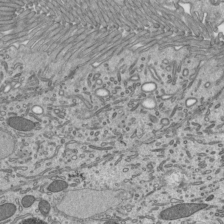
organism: Mouse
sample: Mouse epididymis efferent ductule cilia